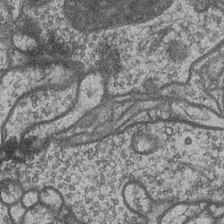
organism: Drosophila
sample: Optic medulla